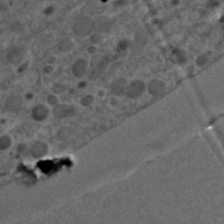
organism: C. elegans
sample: C. elegans embryo